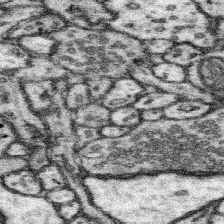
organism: Mouse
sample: Somatosensory cortex neuropil